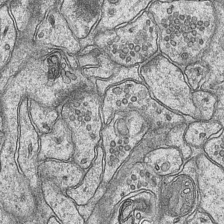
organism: Mouse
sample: CA1 Hippocampus